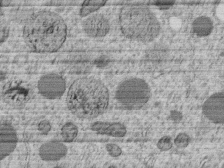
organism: C. elegans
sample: C. elegans embryo early stage